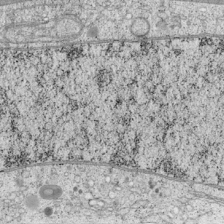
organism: African green monkey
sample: COS-7 cells